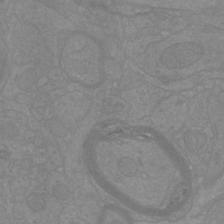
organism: Mouse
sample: Cortical neurons